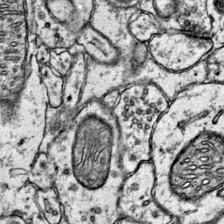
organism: Mouse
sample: Primary visual cortex